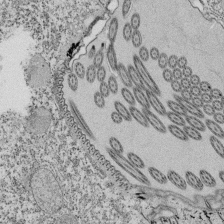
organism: Tetrahymena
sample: Cilia in tetrahymena